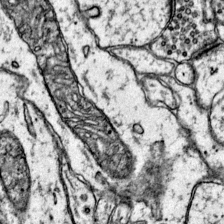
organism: Mouse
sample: Primary visual cortex